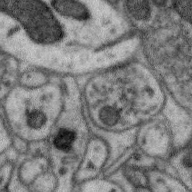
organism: Zebra finch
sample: Brain